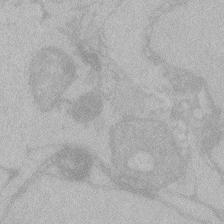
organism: Zebrafish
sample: Macrophage infected with Toxoplasma gondii